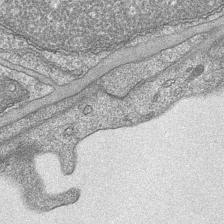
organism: Mouse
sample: CA1 Hippocampus